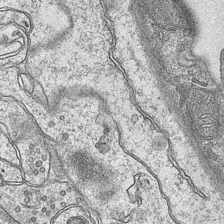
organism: Mouse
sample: CA1 Hippocampus